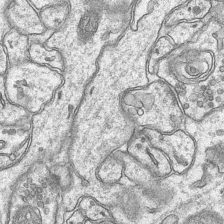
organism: Mouse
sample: CA1 Hippocampus